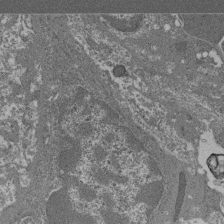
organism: Mouse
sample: Glomerulus